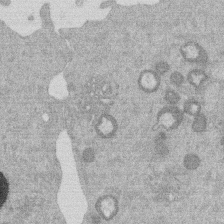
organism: Mouse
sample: Dividing mouse embryo 1 cell stage